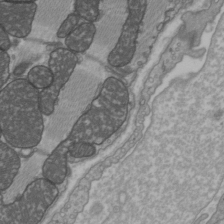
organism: C57BL Mouse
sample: Heart